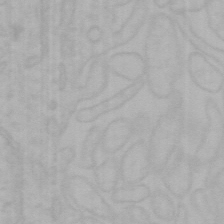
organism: Mouse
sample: Choroid plexus